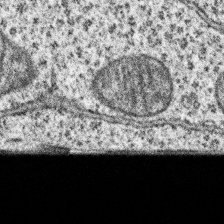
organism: Human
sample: HeLa cells